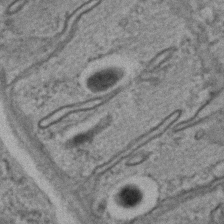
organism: C. elegans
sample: C. elegans embryo